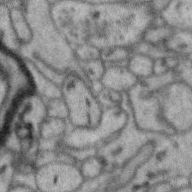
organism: Zebra finch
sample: Brain